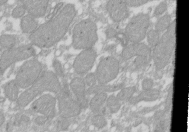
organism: Xenopus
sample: Cilia; centrioles in frog embryo cells